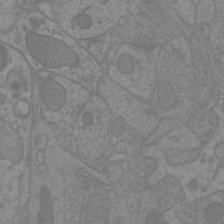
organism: Mouse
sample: Cortical neurons